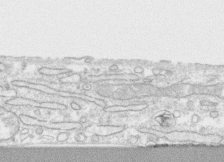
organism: Human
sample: CRL-1474